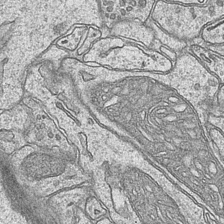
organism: Mouse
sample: CA1 Hippocampus